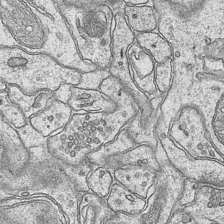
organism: Mouse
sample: CA1 Hippocampus